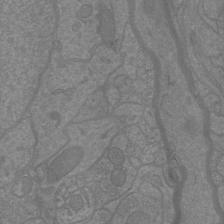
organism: Mouse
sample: Cortical neurons